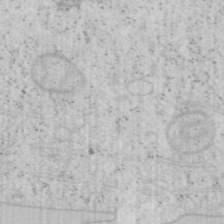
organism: Human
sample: HeLa cells